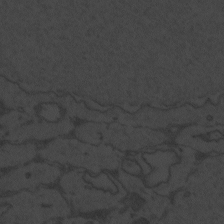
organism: Zebrafish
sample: Macrophage infected with Toxoplasma gondii